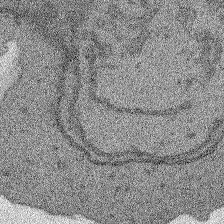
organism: Human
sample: HeLa cells